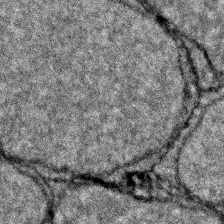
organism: Zebrafish